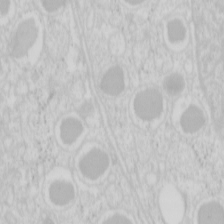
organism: Mouse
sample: Pancreas